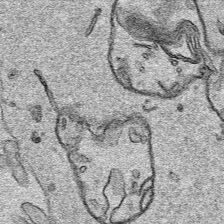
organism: Human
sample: Mitochondria in HCT116 cells